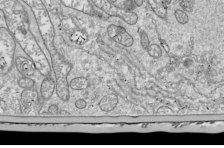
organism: Drosophila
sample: Cell division; meiosis; drosophila spermatocytes